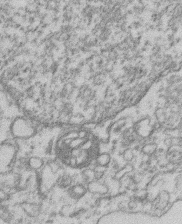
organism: Mouse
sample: T cell stromal cell synapse